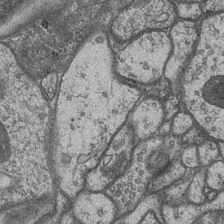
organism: Drosophila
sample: Optic medulla